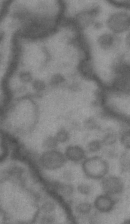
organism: Drosophila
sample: Brain